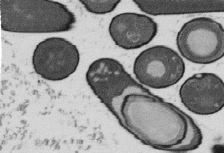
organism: B. subtilis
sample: Bacterial spore